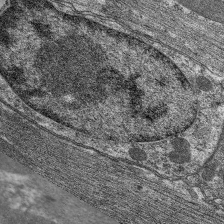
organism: C. elegans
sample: Pharynx